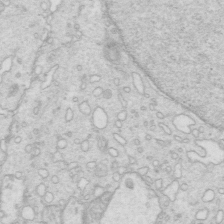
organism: Mouse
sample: Multiciliated cells